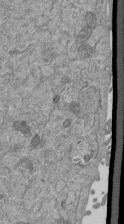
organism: Mouse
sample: ED-1 cell nuclei; centrioles